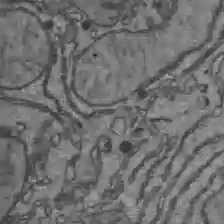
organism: C57BL Mouse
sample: Liver